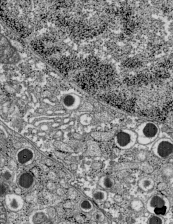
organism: C57BL Mouse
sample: Pancreatic islet